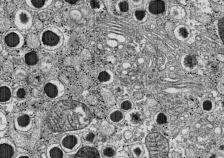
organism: C57BL Mouse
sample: Pancreatic islet